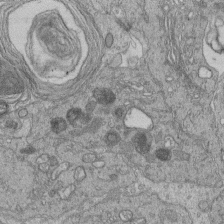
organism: Human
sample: Retinal organoid Rod and Cone cells